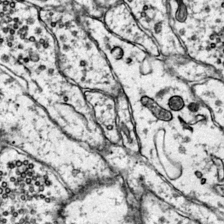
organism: Mouse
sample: Primary visual cortex